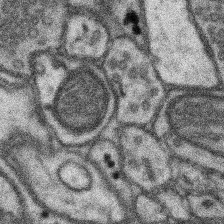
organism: Mouse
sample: Somatosensory cortex neuropil